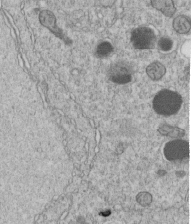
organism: C. elegans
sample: C. elegans embryo early stage